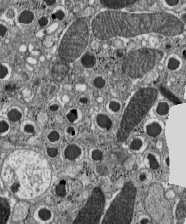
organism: C57BL Mouse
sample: Pancreatic islet